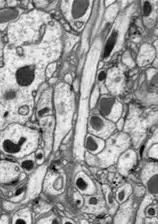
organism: Drosophila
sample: Optic lobe